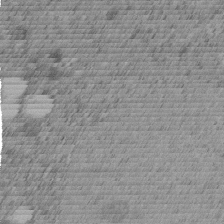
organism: C. elegans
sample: C. elegans embryo early stage